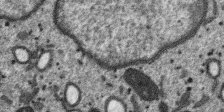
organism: Human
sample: Lung epithelial cells infected with SARS-CoV-2